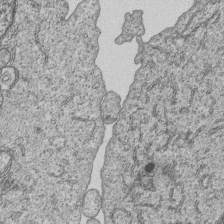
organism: Human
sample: MDA-MB-231 cells